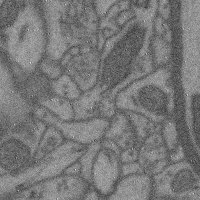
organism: Mouse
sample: Cerebral cortex